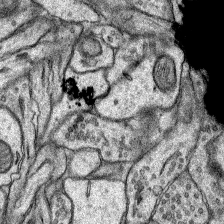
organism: Rat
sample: Hippocampus